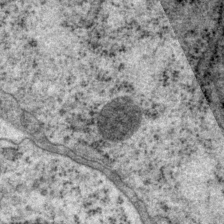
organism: P. pacificus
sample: Pharynx